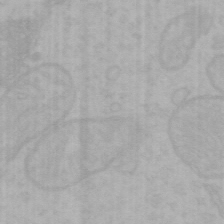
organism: Mouse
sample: Choroid plexus